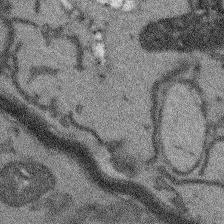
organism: Arabidopsis thaliana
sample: Root tip